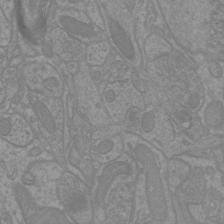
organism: Mouse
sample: Cortical neurons